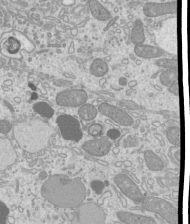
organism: Mouse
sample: Cilia; mouse epididymis